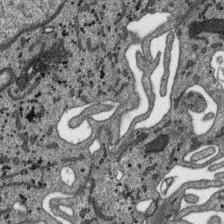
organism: Human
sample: Lung epithelial cells infected with SARS-CoV-2